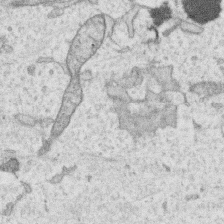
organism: Human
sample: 1205lu cells